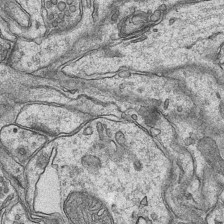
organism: Mouse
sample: CA1 Hippocampus